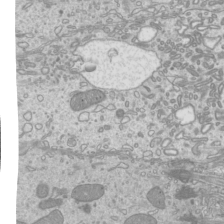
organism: Mouse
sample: Cilia; mouse epididymis